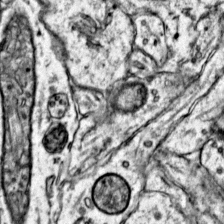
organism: Mouse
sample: Primary visual cortex